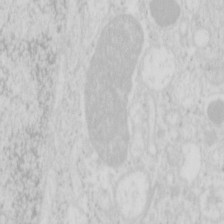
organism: Mouse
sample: Pancreas